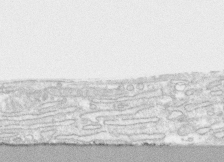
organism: Human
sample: CRL-1474